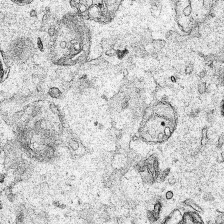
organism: Human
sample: Mitochondria in HCT116 cells